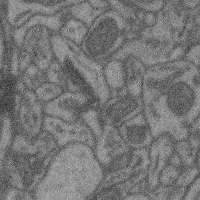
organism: Mouse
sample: Cerebral cortex